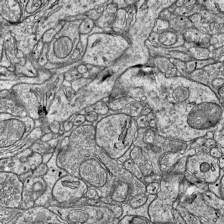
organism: Mouse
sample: Visual Cortex